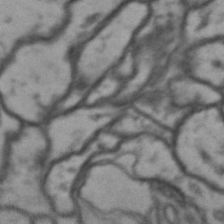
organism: Drosophila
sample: Brain